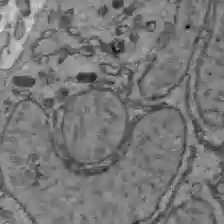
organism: C57BL Mouse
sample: Liver